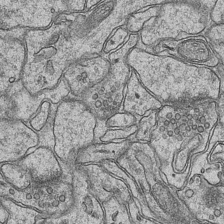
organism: Mouse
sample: CA1 Hippocampus